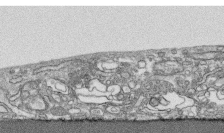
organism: Human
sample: CRL-1474